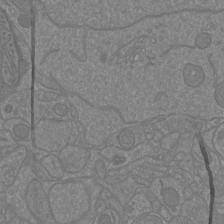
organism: Mouse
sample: Cortical neurons